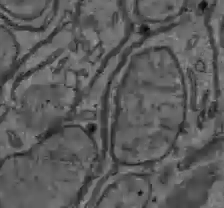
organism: C57BL Mouse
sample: Liver